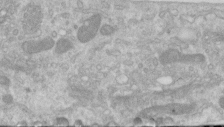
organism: Human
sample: Centriole in RPE cells